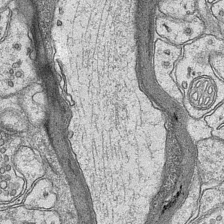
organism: Mouse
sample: CA1 Hippocampus